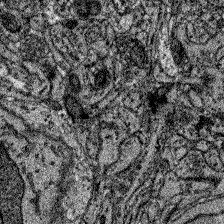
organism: Zebrafish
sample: Larval olfactory bulb